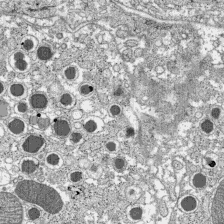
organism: C57BL Mouse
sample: Pancreatic islet